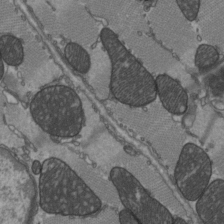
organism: C57BL Mouse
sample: Heart